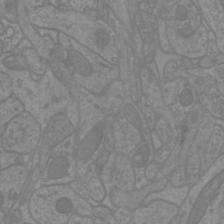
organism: Mouse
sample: Cortical neurons